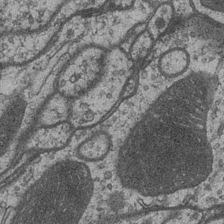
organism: Drosophila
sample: Optic medulla